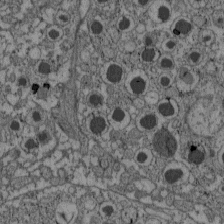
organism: C57BL Mouse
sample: Pancreatic islet